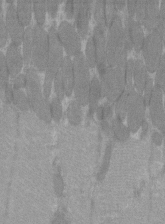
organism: C57BL Mouse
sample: Tibialis anterior muscle cell